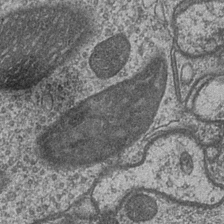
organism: Drosophila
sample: Optic medulla